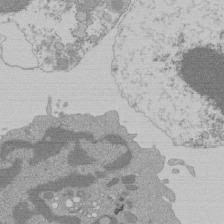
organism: Mouse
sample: Activated Pmel transgenic CD8+ T Cells